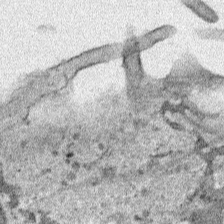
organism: Human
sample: Mitochondria in HCT116 cells